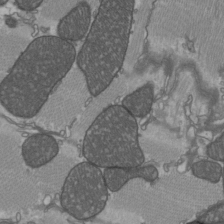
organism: C57BL Mouse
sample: Heart